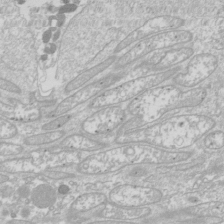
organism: Drosophila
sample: Cell division; meiosis; drosophila spermatocytes